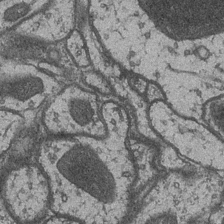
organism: Drosophila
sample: Optic medulla